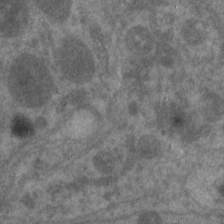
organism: C. elegans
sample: Pharynx